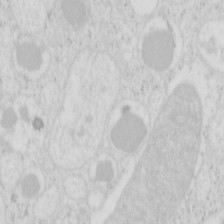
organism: Mouse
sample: Pancreas